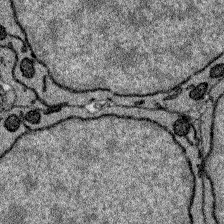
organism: Zebrafish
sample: Larval olfactory bulb